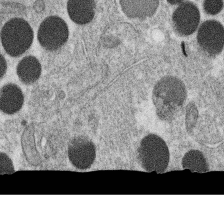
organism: C. elegans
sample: C. elegans oocyte; sperm cells